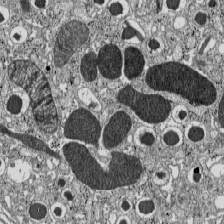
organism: C57BL Mouse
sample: Pancreatic islet